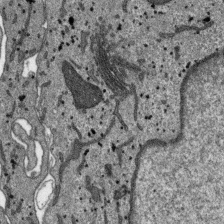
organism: Human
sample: Lung epithelial cells, uninfected (mock) control